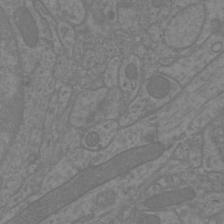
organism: Mouse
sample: Cortical neurons